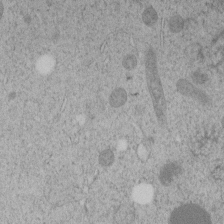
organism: C. elegans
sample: C. elegans embryo early stage